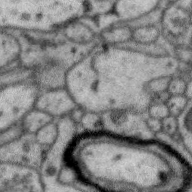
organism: Zebra finch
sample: Brain